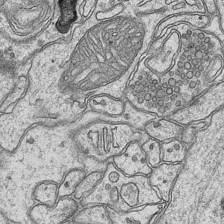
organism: Mouse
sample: CA1 Hippocampus